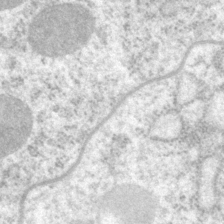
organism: P. pacificus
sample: Pharynx